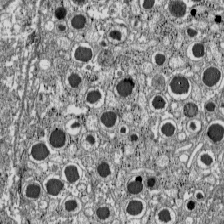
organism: C57BL Mouse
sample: Pancreatic islet